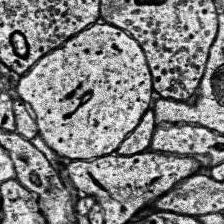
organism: Human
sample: Temporal Lobe